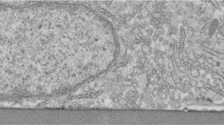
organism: Human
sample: Centriole in fibroblast cells